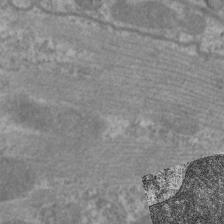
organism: C. elegans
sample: Pharynx